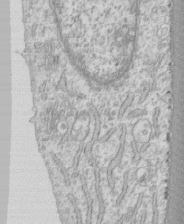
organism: Human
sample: CRL-1474